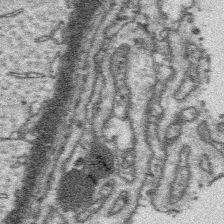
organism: Platynereis dumerilii